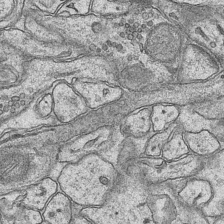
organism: Mouse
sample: CA1 Hippocampus